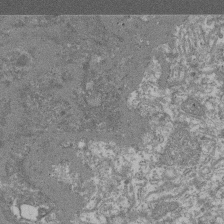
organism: Mouse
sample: Glomerulus